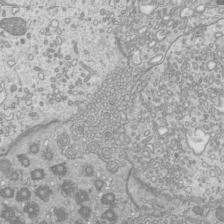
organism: Mouse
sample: Cilia; mouse epididymis